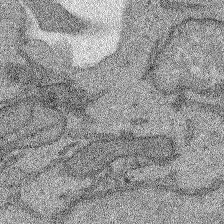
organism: Human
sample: HeLa cells